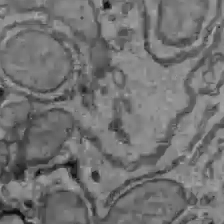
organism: C57BL Mouse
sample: Liver